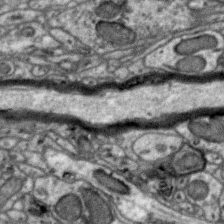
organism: Zebra finch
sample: Brain